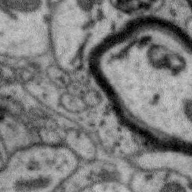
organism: Zebra finch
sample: Brain